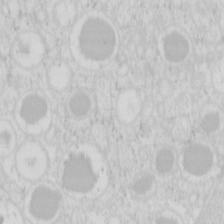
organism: Mouse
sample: Pancreas